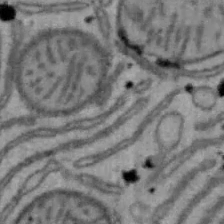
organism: Mouse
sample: Liver